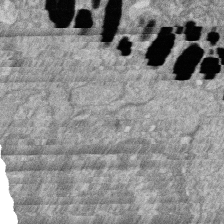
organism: Zebrafish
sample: Cilia; retinal pigment epithelium